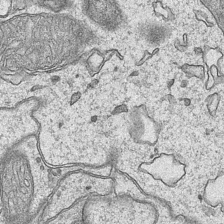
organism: Mouse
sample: CA1 Hippocampus